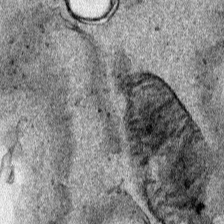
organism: Human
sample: Mitochondria in HCT116 cells